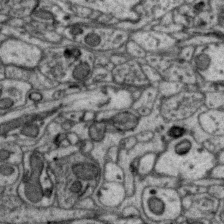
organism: Zebra finch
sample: Brain